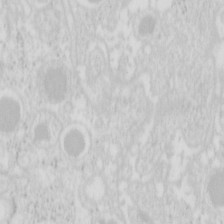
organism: Mouse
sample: Pancreas